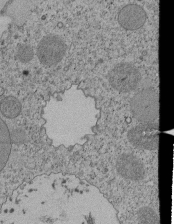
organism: Tetrahymena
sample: Cilia in tetrahymena